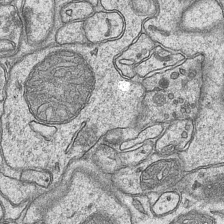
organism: Mouse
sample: CA1 Hippocampus